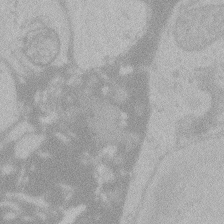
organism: Zebrafish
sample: Macrophage infected with Toxoplasma gondii